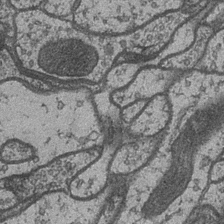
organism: Drosophila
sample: Optic medulla